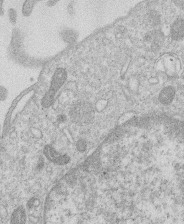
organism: Human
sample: Macrophage cells